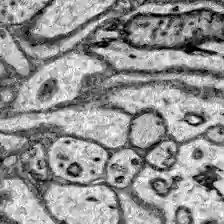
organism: Zebrafish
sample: Brain